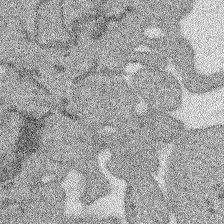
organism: Human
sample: HeLa cells